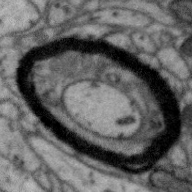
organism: Zebra finch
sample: Brain